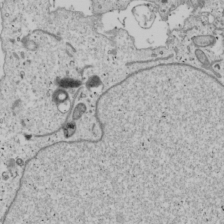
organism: Human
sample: Mitochondria in U2OS cells